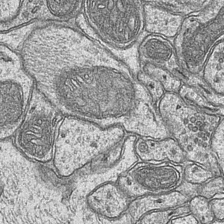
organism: Mouse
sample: CA1 Hippocampus